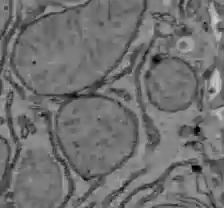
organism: C57BL Mouse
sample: Liver